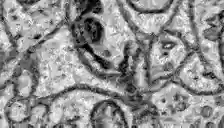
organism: Zebrafish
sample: Brain